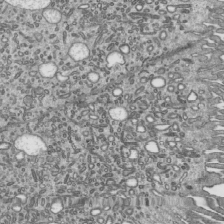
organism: Mouse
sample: Mouse epididymis efferent ductule cilia